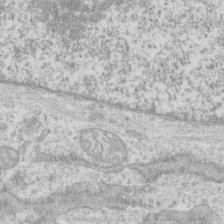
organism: Human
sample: CRL-1474